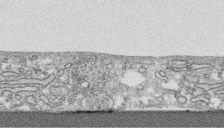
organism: Human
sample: CRL-1474